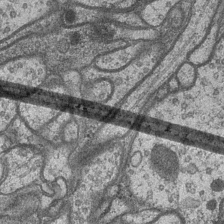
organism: Drosophila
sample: Optic medulla